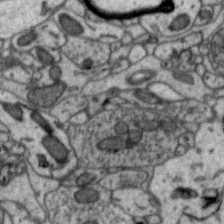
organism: Zebra finch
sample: Brain